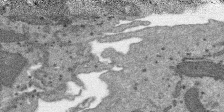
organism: Human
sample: Lung epithelial cells infected with SARS-CoV-2